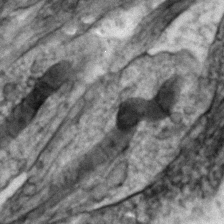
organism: Zebrafish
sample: Zebrafish embryo